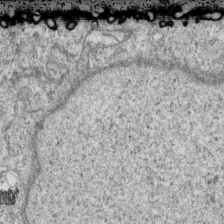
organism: Human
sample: HeLa cell HIV synapse